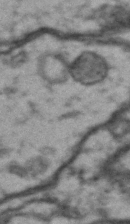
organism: Drosophila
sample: Brain